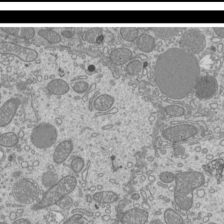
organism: Mouse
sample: Cilia; mouse epididymis